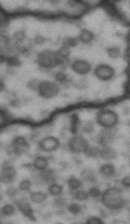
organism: Drosophila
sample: Brain